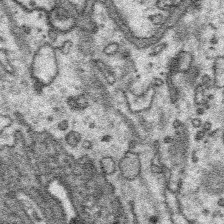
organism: Platynereis dumerilii